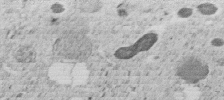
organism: C. elegans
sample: C. elegans embryo early stage